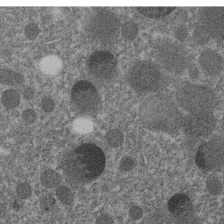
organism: C. elegans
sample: C. elegans embryo early stage